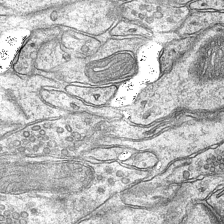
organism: Mouse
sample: CA1 Hippocampus